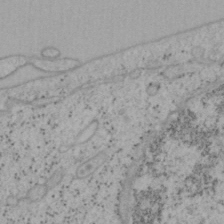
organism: Human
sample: HeLa cells